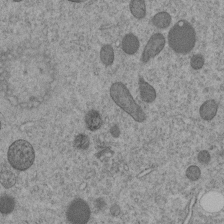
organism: C. elegans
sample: C. elegans embryo early stage